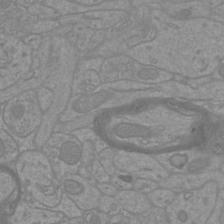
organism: Mouse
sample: Cortical neurons